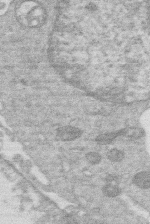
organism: Human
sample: Macrophage cells